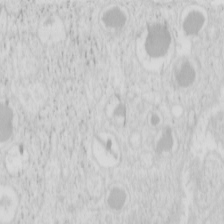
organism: Mouse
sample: Pancreas